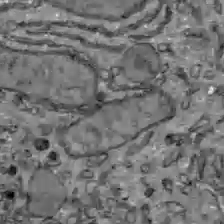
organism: C57BL Mouse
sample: Liver